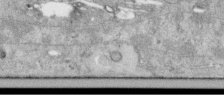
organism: Human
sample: Centriole in RPE cells